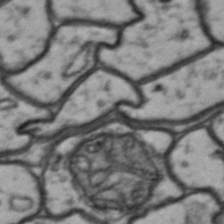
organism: Drosophila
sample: Brain